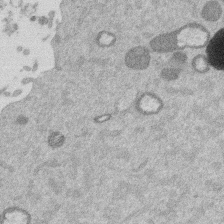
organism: Mouse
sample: Dividing mouse embryo 1 cell stage